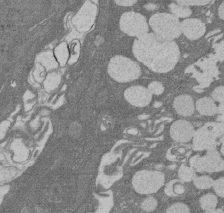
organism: Rat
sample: Salivary granule